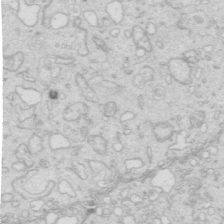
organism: Mouse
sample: Multiciliated cells